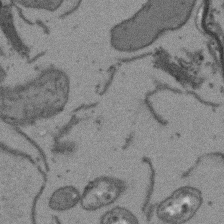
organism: Arabidopsis thaliana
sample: Root tip